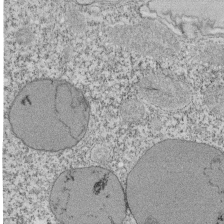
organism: Tetrahymena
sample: Cilia in tetrahymena